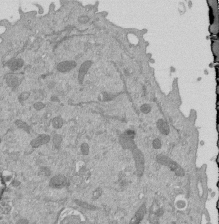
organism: Mouse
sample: ED-1 cell nuclei; centrioles